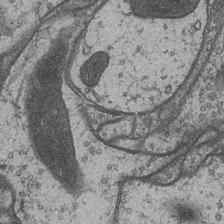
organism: Drosophila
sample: Optic medulla